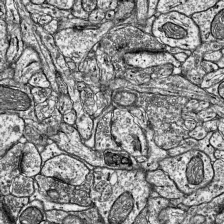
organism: Mouse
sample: Visual Cortex